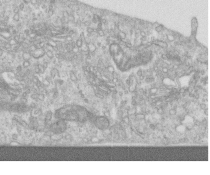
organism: Human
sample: Centriole in RPE cells